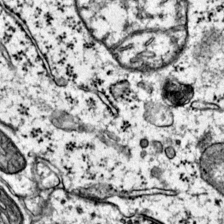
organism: Mouse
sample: Primary visual cortex